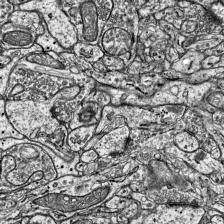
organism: Mouse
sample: Visual Cortex